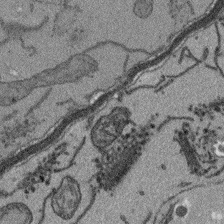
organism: Arabidopsis thaliana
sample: Root tip